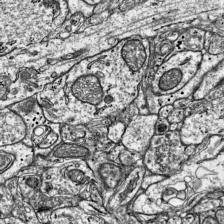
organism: Mouse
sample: Visual Cortex